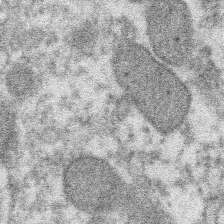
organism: Xenopus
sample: Cilia; centrioles in frog embryo cells